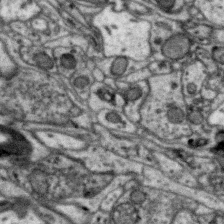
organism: Zebra finch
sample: Brain